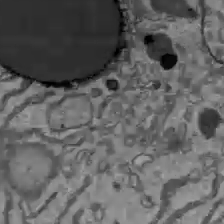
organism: C57BL Mouse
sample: Liver